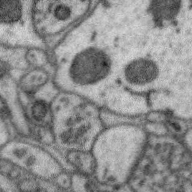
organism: Zebra finch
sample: Brain